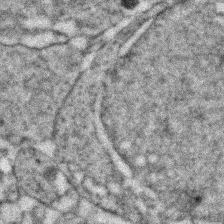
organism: Zebrafish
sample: Zebrafish embryo